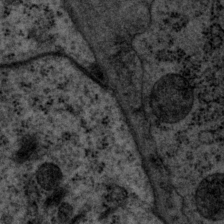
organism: P. pacificus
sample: Pharynx